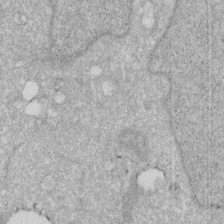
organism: Human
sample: HIV infected U937 cells